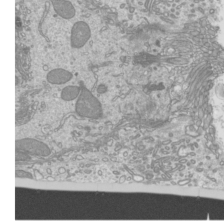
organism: Mouse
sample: Cilia; mouse epididymis